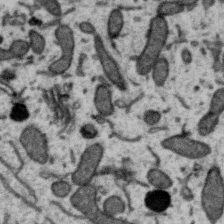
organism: Zebra finch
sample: Brain